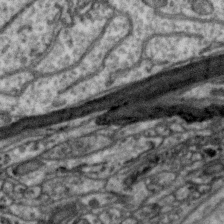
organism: Zebra finch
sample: Brain